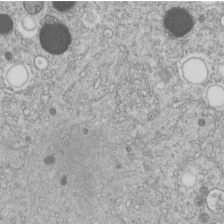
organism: C. elegans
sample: C. elegans embryo early stage